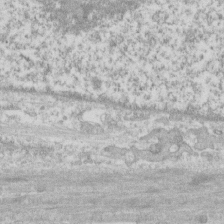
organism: Human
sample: CRL-1474